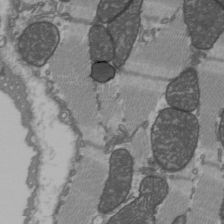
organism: C57BL Mouse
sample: Heart